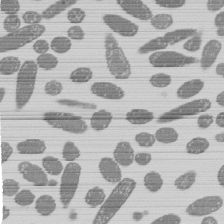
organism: E. coli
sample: Bacterial nucleoid